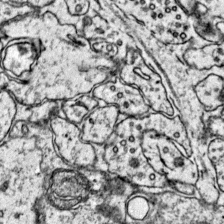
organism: Mouse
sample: Primary visual cortex